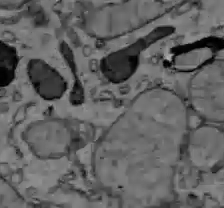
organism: C57BL Mouse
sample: Liver